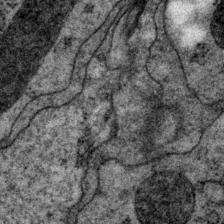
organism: P. pacificus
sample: Pharynx